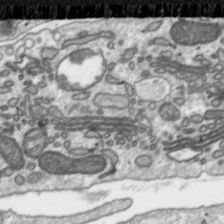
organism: Toxoplasma gondii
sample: Parasites in a vacuole inside a host cell